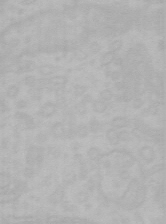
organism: Mouse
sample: Choroid plexus